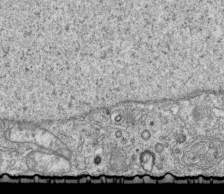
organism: Human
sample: HeLa cell HIV synapse